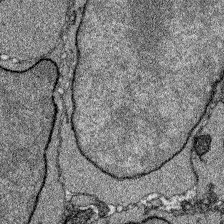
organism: Zebrafish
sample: Larval olfactory bulb